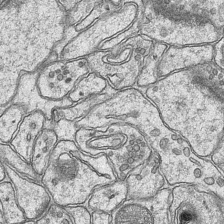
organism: Mouse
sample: CA1 Hippocampus